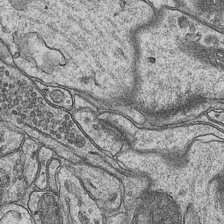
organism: Mouse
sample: CA1 Hippocampus